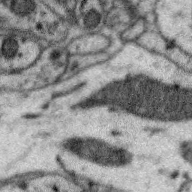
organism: Zebra finch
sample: Brain